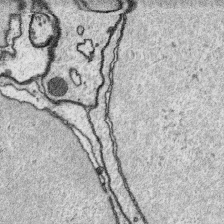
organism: Platynereis dumerilii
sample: Parapodia